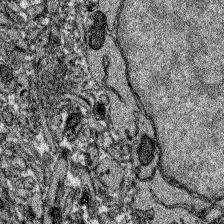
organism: Zebrafish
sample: Larval olfactory bulb